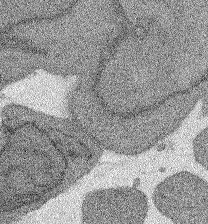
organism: Human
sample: HeLa cells